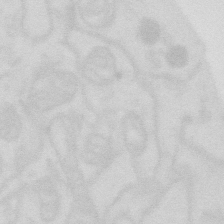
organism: Human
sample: HeLa cells